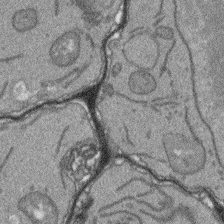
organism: Arabidopsis thaliana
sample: Root tip